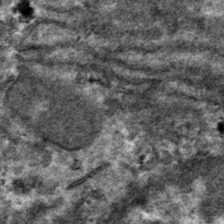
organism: Mouse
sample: Mouse hepatocytes